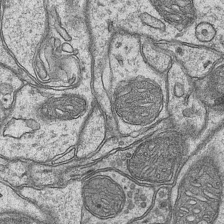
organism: Mouse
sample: CA1 Hippocampus